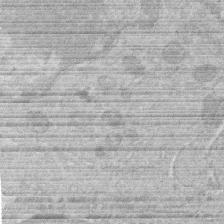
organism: Human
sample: Macrophage cells